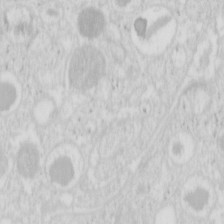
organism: Mouse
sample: Pancreas